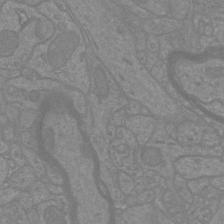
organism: Mouse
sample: Cortical neurons